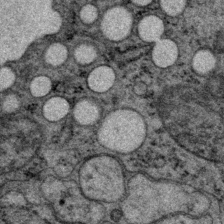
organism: P. pacificus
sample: Pharynx